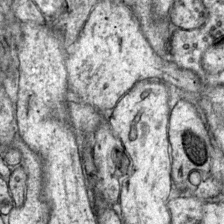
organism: Mouse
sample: Primary visual cortex